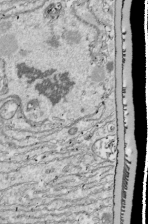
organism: Drosophila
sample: Cell division; meiosis; drosophila spermatocytes